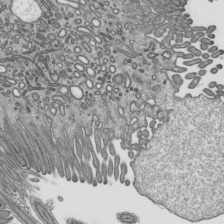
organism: Mouse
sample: Mouse epididymis efferent ductule cilia